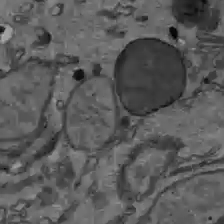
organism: C57BL Mouse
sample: Liver